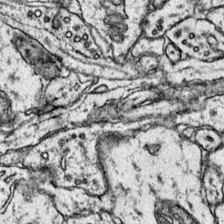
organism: Mouse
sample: Primary visual cortex